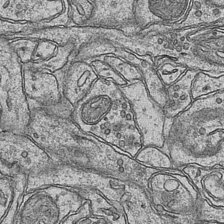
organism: Mouse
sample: CA1 Hippocampus